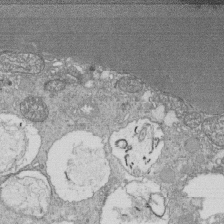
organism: Tetrahymena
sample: Cilia in tetrahymena